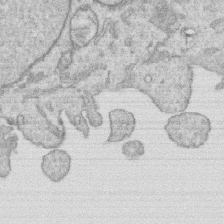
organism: Human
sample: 1205lu cells